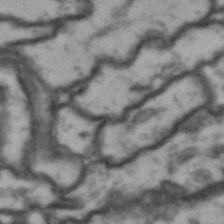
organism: Drosophila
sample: Brain